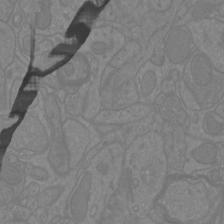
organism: Mouse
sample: Cortical neurons